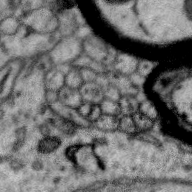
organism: Zebra finch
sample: Brain